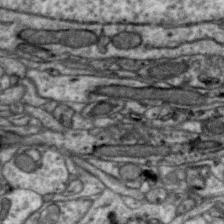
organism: Zebra finch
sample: Brain